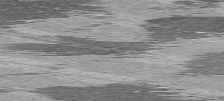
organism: C57BL Mouse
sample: Heart